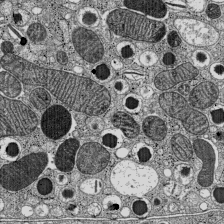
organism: C57BL Mouse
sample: Pancreatic islet